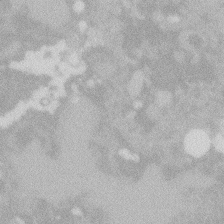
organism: Zebrafish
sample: Macrophage